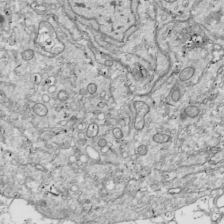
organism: Drosophila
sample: Cell division; meiosis; drosophila spermatocytes